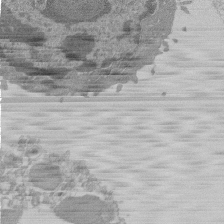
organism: Mouse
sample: Activated Pmel transgenic CD8+ T Cells